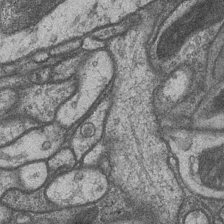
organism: Drosophila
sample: Optic medulla